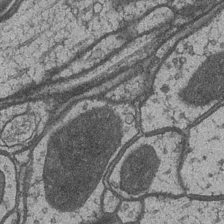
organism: Drosophila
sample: Optic medulla